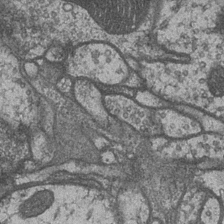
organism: Drosophila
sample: Optic medulla